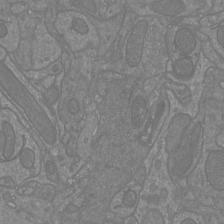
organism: Mouse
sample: Cortical neurons